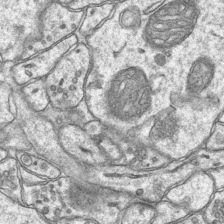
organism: Mouse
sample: CA1 Hippocampus